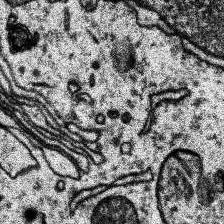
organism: Human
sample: Temporal Lobe